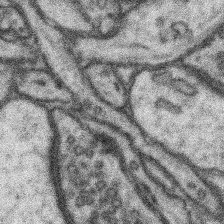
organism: Mouse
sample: Somatosensory cortex neuropil